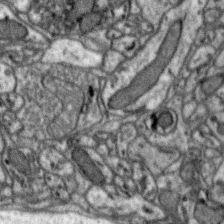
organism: Zebra finch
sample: Brain